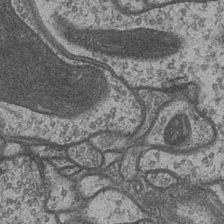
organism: Drosophila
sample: Optic medulla